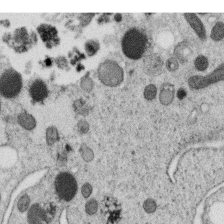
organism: C. elegans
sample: C. elegans oocyte; sperm cells